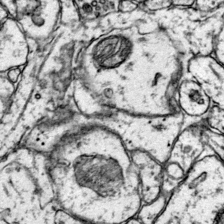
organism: Mouse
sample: Primary visual cortex